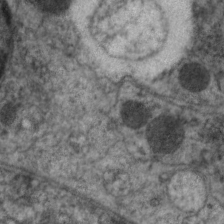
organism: C. elegans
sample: Pharynx